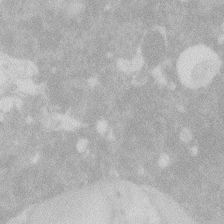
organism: Zebrafish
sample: Macrophage